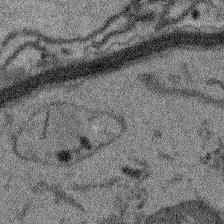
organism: Arabidopsis thaliana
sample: Root tip